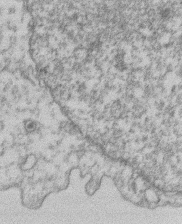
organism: Mouse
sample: T cell stromal cell synapse